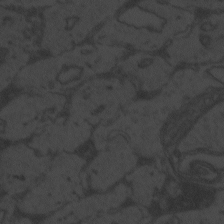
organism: Zebrafish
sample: Macrophage infected with Toxoplasma gondii